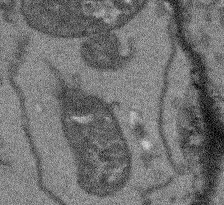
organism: Arabidopsis thaliana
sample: Root tip